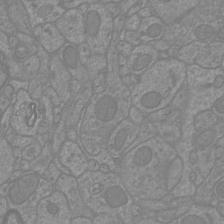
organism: Mouse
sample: Cortical neurons